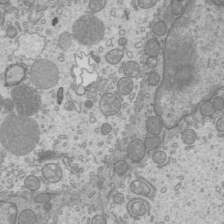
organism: Mouse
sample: Cilia; mouse epididymis